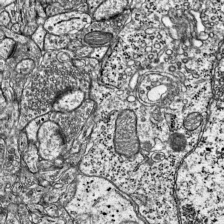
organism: Mouse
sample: Visual Cortex